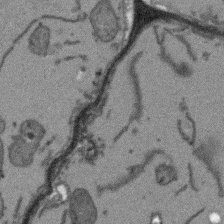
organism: Arabidopsis thaliana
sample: Root tip